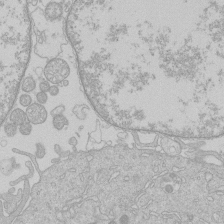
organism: Human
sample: Macrophage cells